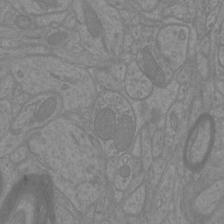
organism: Mouse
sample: Cortical neurons